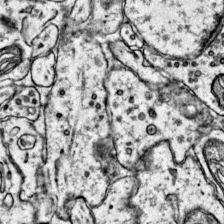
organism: Mouse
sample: Primary visual cortex